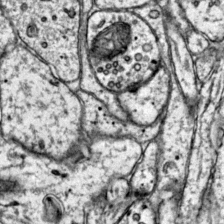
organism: Mouse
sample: Primary visual cortex